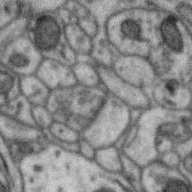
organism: Zebra finch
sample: Brain